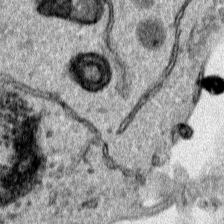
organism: Human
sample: Mitochondria in HCT116 cells